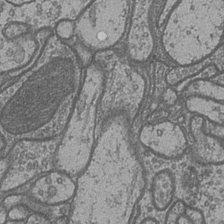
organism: Drosophila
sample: Optic medulla